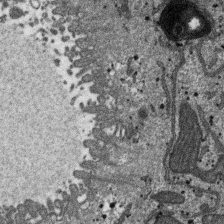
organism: Human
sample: Lung epithelial cells infected with SARS-CoV-2